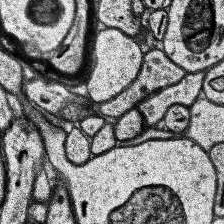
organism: Human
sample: Temporal Lobe